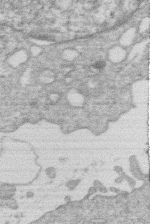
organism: Human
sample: Macrophage cells